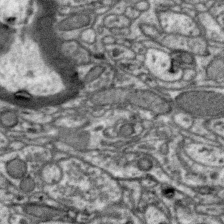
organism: Zebra finch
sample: Brain